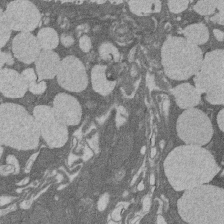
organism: Rat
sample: Salivary granule